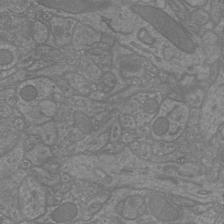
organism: Mouse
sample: Cortical neurons